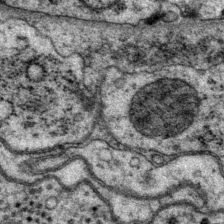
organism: P. pacificus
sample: Pharynx